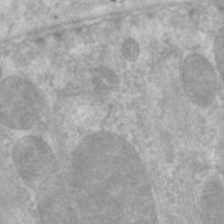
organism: C. elegans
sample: Pharynx